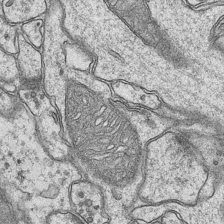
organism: Mouse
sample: CA1 Hippocampus